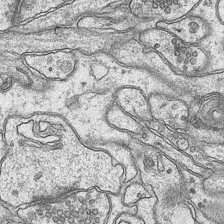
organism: Mouse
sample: CA1 Hippocampus